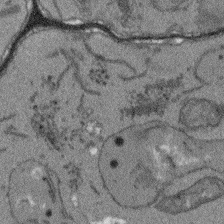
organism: Arabidopsis thaliana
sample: Root tip